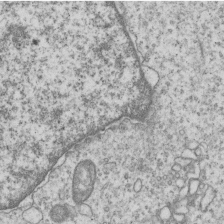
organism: Human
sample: MDA-MB-231 cells